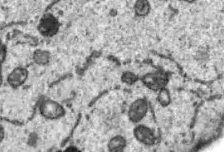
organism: Human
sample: HeLa cells